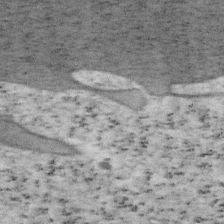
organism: Mouse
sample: OT-I killer T cells with ID8 ovarian cancer cells